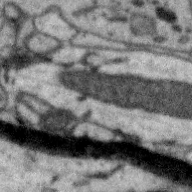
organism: Zebra finch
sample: Brain